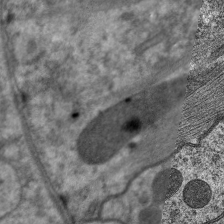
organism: C. elegans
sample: Pharynx